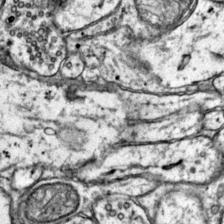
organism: Mouse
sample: Primary visual cortex